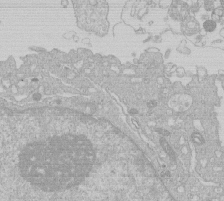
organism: Human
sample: Macrophage cells